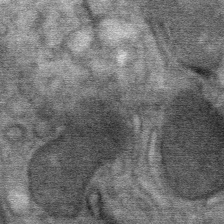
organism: Mouse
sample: Mouse Salivary gland